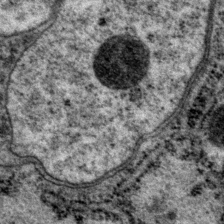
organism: P. pacificus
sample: Pharynx